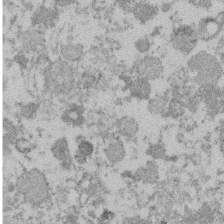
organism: Mouse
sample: Dividing mouse embryo 1 cell stage